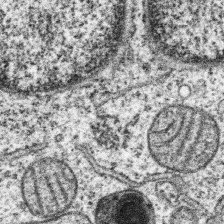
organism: Human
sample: HeLa cells